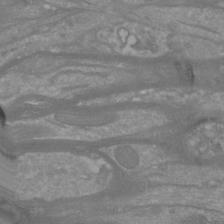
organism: Mouse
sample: Cortical neurons